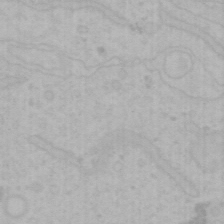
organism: Mouse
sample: Choroid plexus